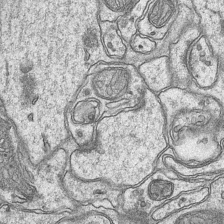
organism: Mouse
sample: CA1 Hippocampus